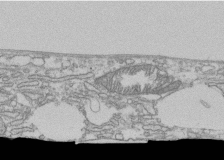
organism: Human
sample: Fibroblast cells